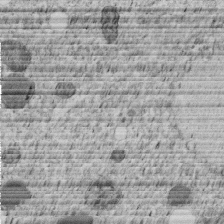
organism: C. elegans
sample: C. elegans embryo early stage